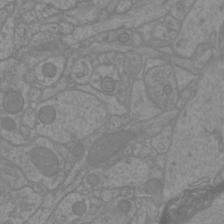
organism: Mouse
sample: Cortical neurons